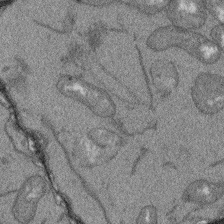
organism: Arabidopsis thaliana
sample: Root tip